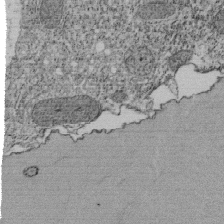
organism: Tetrahymena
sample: Cilia in tetrahymena